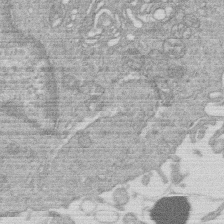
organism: Human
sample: Macrophage cells